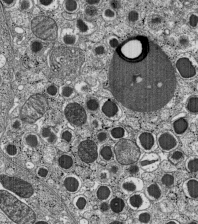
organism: C57BL Mouse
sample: Pancreatic islet